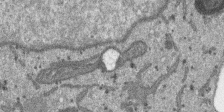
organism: Human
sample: Lung epithelial cells infected with SARS-CoV-2